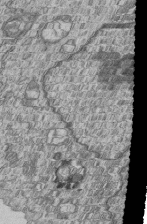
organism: Human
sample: MDA-MB-231 cells